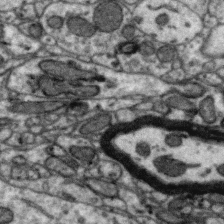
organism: Zebra finch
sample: Brain